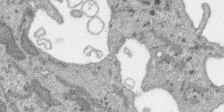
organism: Human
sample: Lung epithelial cells infected with SARS-CoV-2